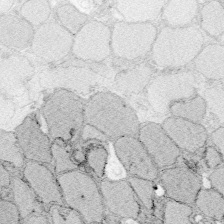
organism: Zebrafish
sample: Whole-Brain